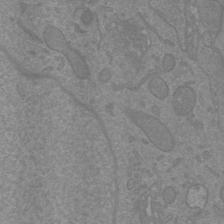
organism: Mouse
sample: Cortical neurons